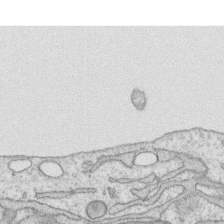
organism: Human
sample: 1205lu cells